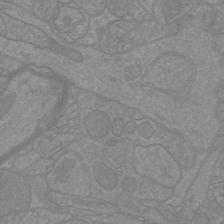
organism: Mouse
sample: Cortical neurons